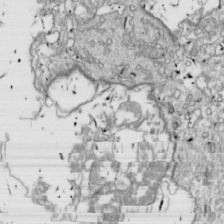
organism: Drosophila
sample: Cell division; meiosis; drosophila spermatocytes